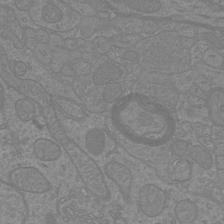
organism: Mouse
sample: Cortical neurons